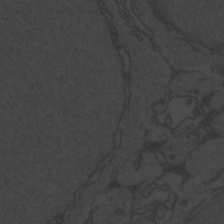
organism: Zebrafish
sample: Macrophage infected with Toxoplasma gondii